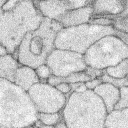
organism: Rabbit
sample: Retina